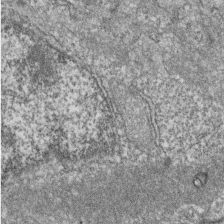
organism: Zebrafish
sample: Cilia; retinal pigment epithelium